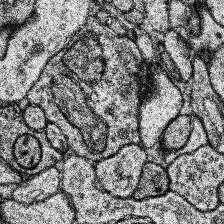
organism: Human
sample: Temporal Lobe